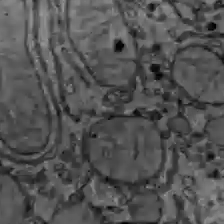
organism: C57BL Mouse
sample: Liver